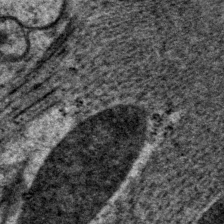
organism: P. pacificus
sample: Pharynx